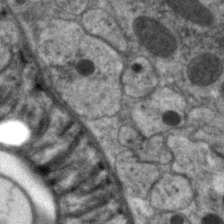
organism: C. elegans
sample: Pharynx